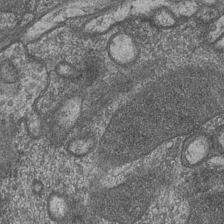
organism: Drosophila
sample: Optic medulla